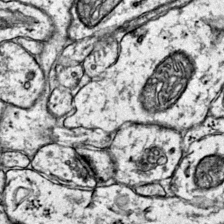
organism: Mouse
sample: Primary visual cortex